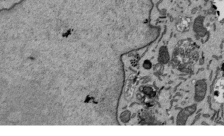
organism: Mouse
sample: ED-1 cell nuclei; centrioles